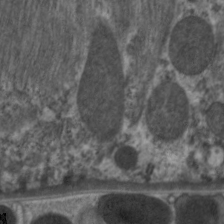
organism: C. elegans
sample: Pharynx